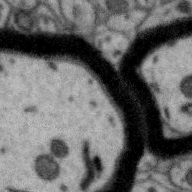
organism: Zebra finch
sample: Brain